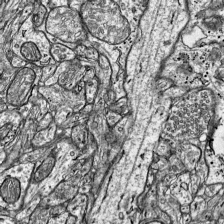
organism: Mouse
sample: Visual Cortex